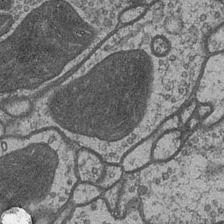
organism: Drosophila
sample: Optic medulla